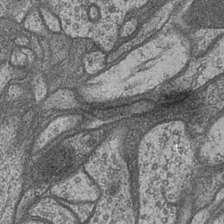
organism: Drosophila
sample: Optic medulla